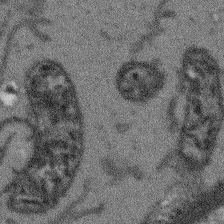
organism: Arabidopsis thaliana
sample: Root tip